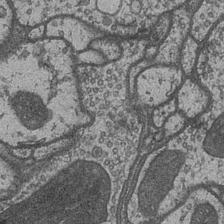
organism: Drosophila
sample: Optic medulla